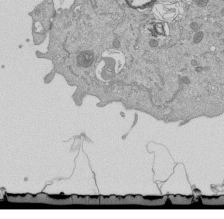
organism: Mouse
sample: ED-1 cell nuclei; centrioles